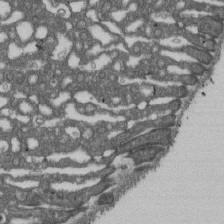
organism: Drosophila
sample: Nephrocyte